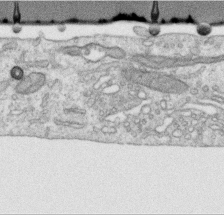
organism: Human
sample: Centriole in RPE cells